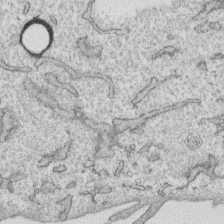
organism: Human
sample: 1205lu cells